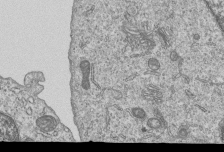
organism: Human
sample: MDA-MB-231 cells